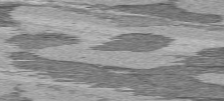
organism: C57BL Mouse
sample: Heart